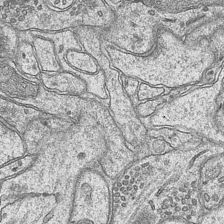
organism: Mouse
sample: CA1 Hippocampus